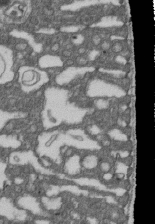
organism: Drosophila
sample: Nephrocyte